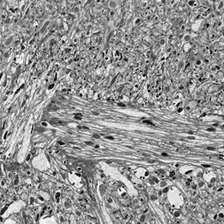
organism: Drosophila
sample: Optic lobe